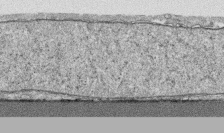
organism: Human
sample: CRL-1474